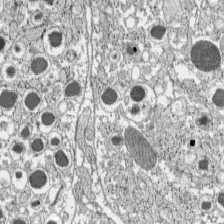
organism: C57BL Mouse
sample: Pancreatic islet